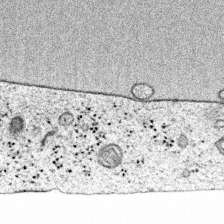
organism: Human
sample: HeLa cells